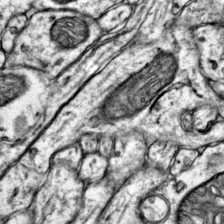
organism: Mouse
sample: Primary visual cortex